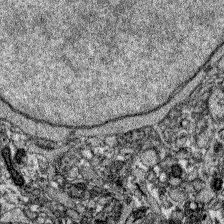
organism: Zebrafish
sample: Larval olfactory bulb